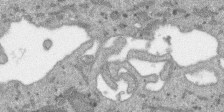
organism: Human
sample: Lung epithelial cells infected with SARS-CoV-2